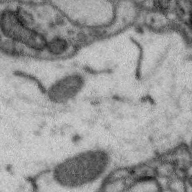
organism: Zebra finch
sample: Brain